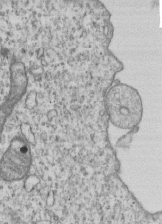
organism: Human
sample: MDA-MB-231 cells